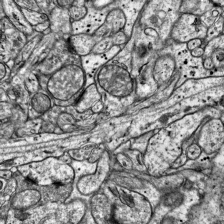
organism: Mouse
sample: Visual Cortex